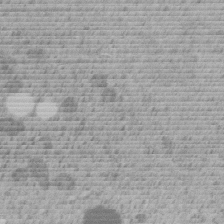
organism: C. elegans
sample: C. elegans embryo early stage